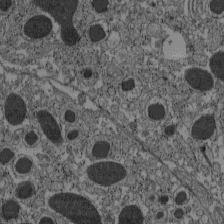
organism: C57BL Mouse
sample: Pancreatic islet